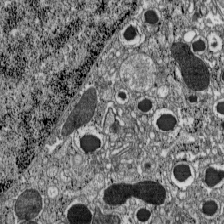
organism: C57BL Mouse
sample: Pancreatic islet